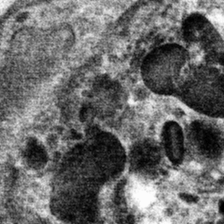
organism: Mouse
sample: Mouse hepatocytes